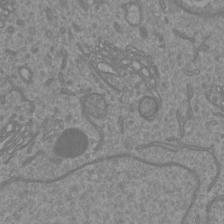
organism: Mouse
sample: Cortical neurons